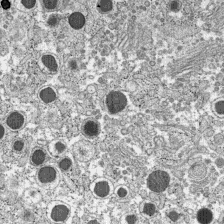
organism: C57BL Mouse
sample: Pancreatic islet